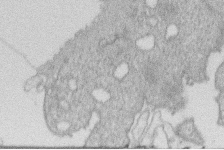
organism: Human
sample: Macrophage cells